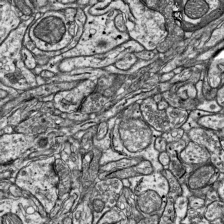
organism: Mouse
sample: Visual Cortex